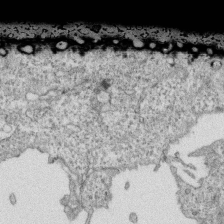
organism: Human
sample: HeLa cell HIV synapse